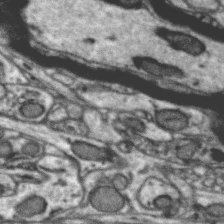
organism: Zebra finch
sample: Brain